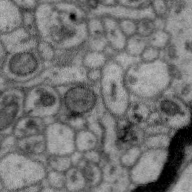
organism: Zebra finch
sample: Brain